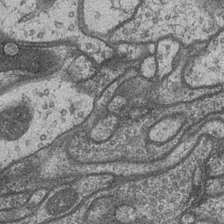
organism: Drosophila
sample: Optic medulla